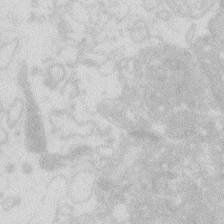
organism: Zebrafish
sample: Macrophage